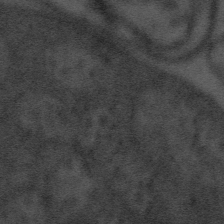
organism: Tuwongella immobilis